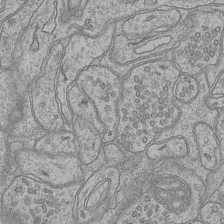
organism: Mouse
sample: CA1 Hippocampus